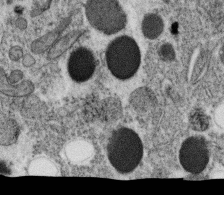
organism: C. elegans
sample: C. elegans oocyte; sperm cells